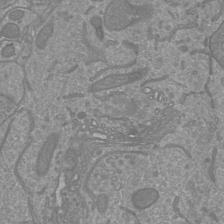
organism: Mouse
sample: Cortical neurons